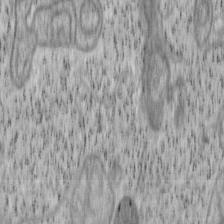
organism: Human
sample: HeLa cells